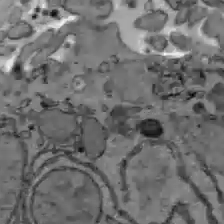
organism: C57BL Mouse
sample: Liver